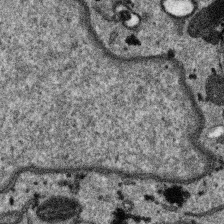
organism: Human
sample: Lung epithelial cells infected with SARS-CoV-2